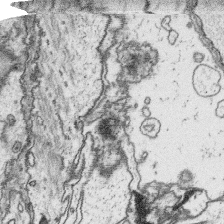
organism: Platynereis dumerilii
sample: Parapodia